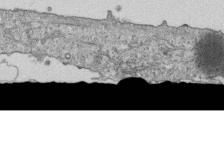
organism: Human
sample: HeLa cell HIV synapse